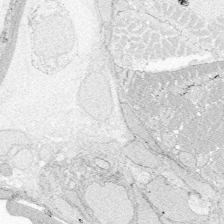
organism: Zebrafish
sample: Whole-Brain